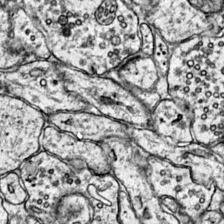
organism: Mouse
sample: Primary visual cortex